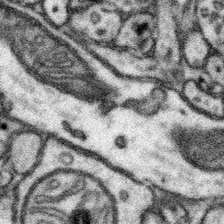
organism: Mouse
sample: Somatosensory cortex neuropil